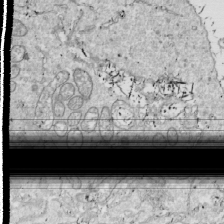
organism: Drosophila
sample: Cell division; meiosis; drosophila spermatocytes